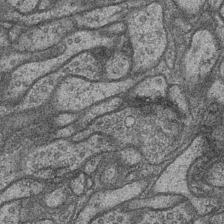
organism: Drosophila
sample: Optic medulla